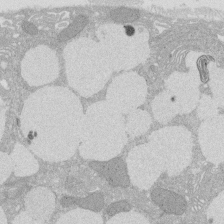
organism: Rat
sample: Salivary granule